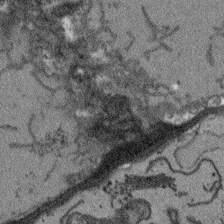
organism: Arabidopsis thaliana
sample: Root tip